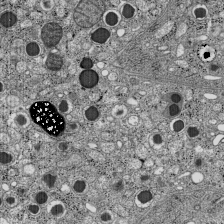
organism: C57BL Mouse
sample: Pancreatic islet